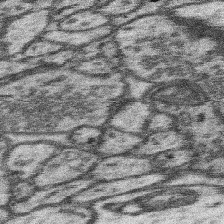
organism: Mouse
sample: Somatosensory cortex neuropil